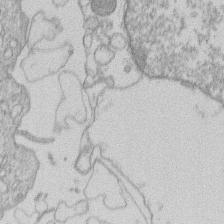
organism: Human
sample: Macrophage cells